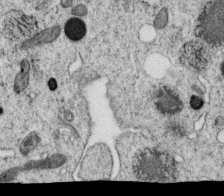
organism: C. elegans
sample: C. elegans oocyte; sperm cells